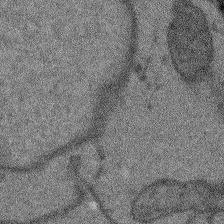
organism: Arabidopsis thaliana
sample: Root tip